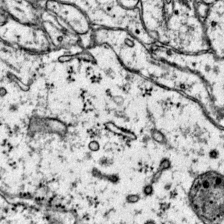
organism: Mouse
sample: Primary visual cortex